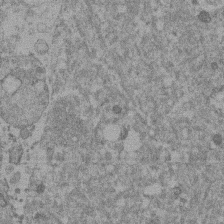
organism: Mouse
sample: Dividing mouse embryo 1 cell stage